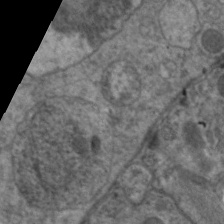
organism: C. elegans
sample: Pharynx